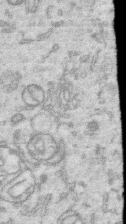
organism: Human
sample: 1205lu cells